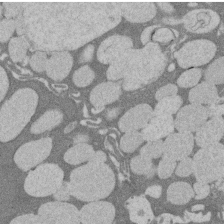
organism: Rat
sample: Salivary granule